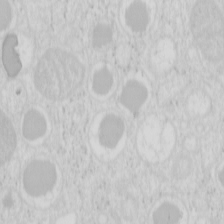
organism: Mouse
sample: Pancreas